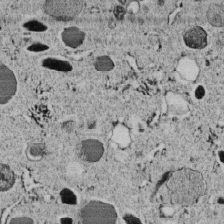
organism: C. elegans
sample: C. elegans embryo early stage